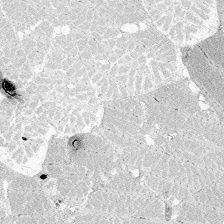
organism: Zebrafish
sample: Whole-Brain